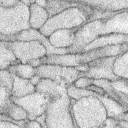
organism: Rabbit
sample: Retina